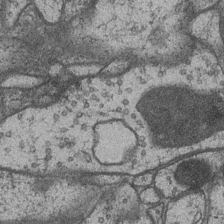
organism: Drosophila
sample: Optic medulla